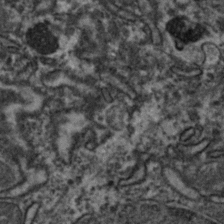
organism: Zebrafish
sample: Zebrafish embryo